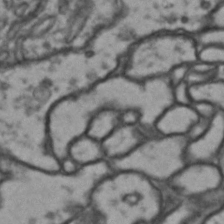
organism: Drosophila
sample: Brain